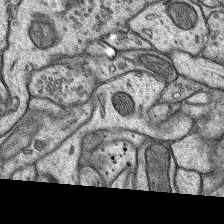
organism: Rat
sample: Hippocampus